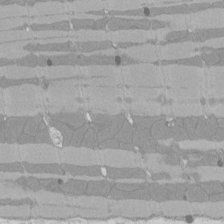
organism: Rat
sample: Left ventricle